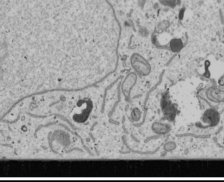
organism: Human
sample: Mitochondria in U2OS cells